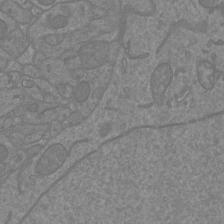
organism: Mouse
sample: Cortical neurons